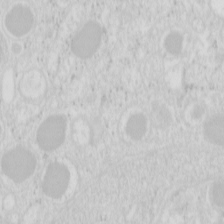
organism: Mouse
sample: Pancreas